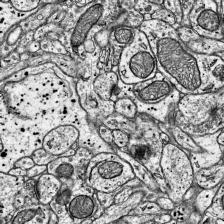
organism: Mouse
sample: Visual Cortex